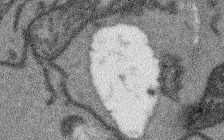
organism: Arabidopsis thaliana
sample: Root tip